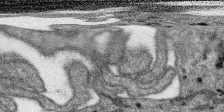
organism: Human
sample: Lung epithelial cells infected with SARS-CoV-2